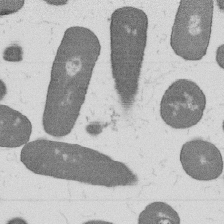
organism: B. subtilis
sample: Bacterial spore